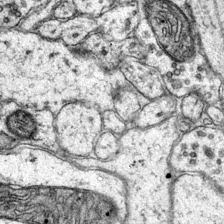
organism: Mouse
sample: Primary visual cortex